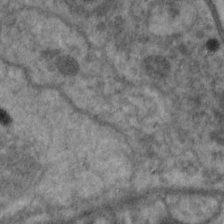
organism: C. elegans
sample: Pharynx